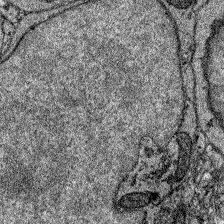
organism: Zebrafish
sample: Larval olfactory bulb